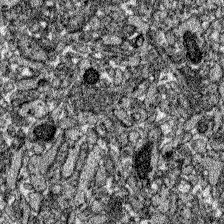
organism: Zebrafish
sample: Larval olfactory bulb